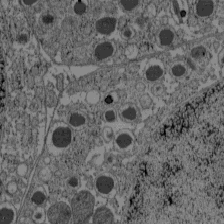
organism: C57BL Mouse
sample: Pancreatic islet